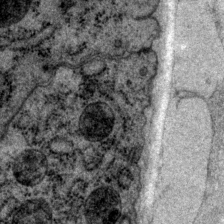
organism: P. pacificus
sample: Pharynx